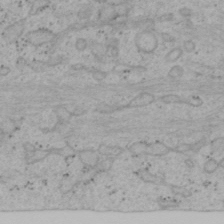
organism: Human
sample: HeLa cells